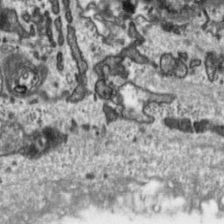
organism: Toxoplasma gondii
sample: Parasites in a vacuole inside a host cell